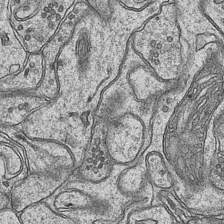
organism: Mouse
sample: CA1 Hippocampus